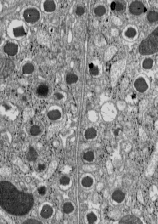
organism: C57BL Mouse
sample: Pancreatic islet